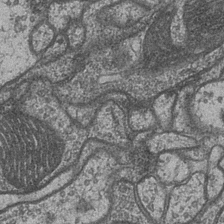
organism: Drosophila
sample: Optic medulla